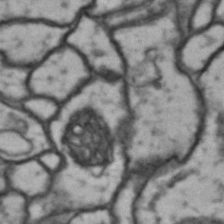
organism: Drosophila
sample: Brain